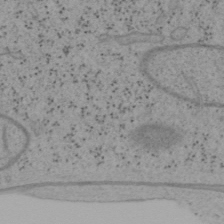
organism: Human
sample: HeLa cells